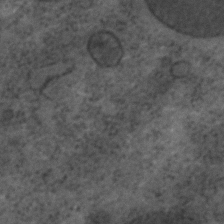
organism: C. elegans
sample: C. elegans embryo